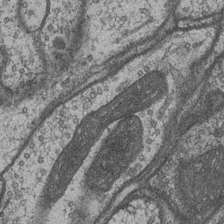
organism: Drosophila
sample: Optic medulla